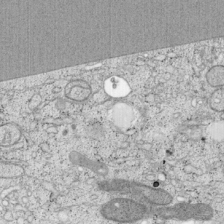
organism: African green monkey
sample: COS-7 cells